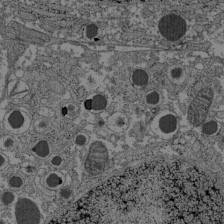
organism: C57BL Mouse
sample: Pancreatic islet